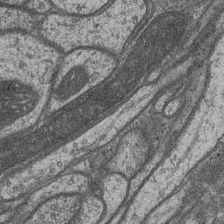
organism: Drosophila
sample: Optic medulla